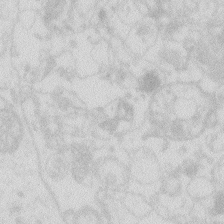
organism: Zebrafish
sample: Macrophage